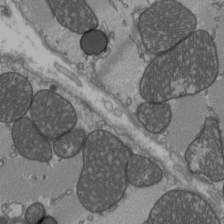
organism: C57BL Mouse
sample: Heart